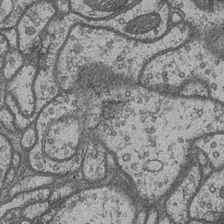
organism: Drosophila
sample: Optic medulla